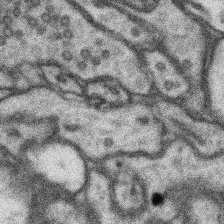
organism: Mouse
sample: Somatosensory cortex neuropil